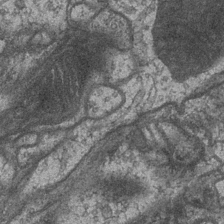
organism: Drosophila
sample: Optic medulla